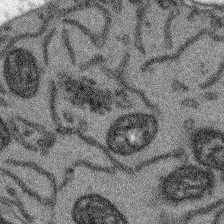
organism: Arabidopsis thaliana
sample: Root tip